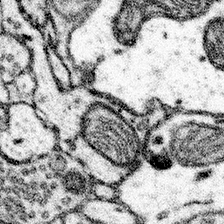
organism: Mouse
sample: Somatosensory cortex neuropil